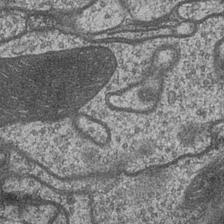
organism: Drosophila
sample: Optic medulla